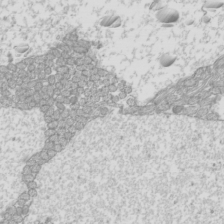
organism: Mouse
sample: Cilia; mouse epididymis